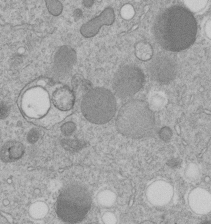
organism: C. elegans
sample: C. elegans embryo early stage